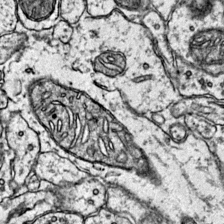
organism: Mouse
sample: Primary visual cortex